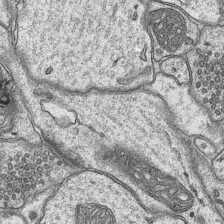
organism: Mouse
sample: CA1 Hippocampus